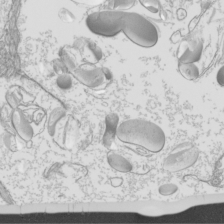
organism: Mouse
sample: Cilia; mouse epididymis